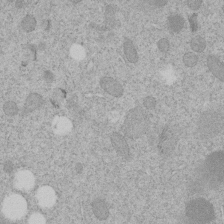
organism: C. elegans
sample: C. elegans embryo early stage